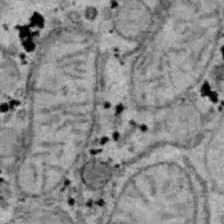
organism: Mouse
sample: Liver from an obese (ob/ob) mouse